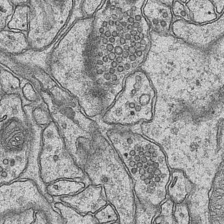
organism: Mouse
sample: CA1 Hippocampus